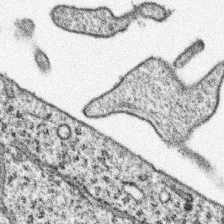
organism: Human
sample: HeLa cells